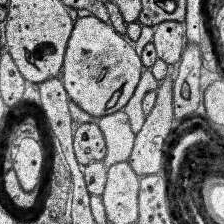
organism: Human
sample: Temporal Lobe